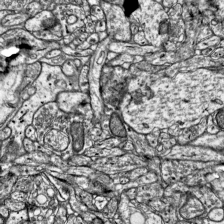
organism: Mouse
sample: Visual Cortex